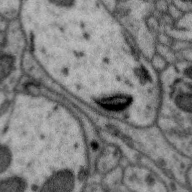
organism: Zebra finch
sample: Brain